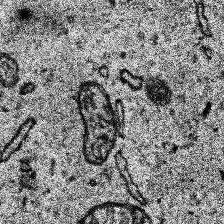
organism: Human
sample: Temporal Lobe